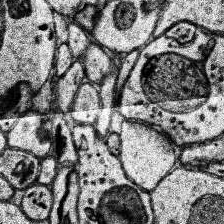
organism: Human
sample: Temporal Lobe